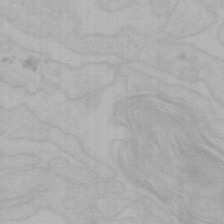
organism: Mouse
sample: Choroid plexus